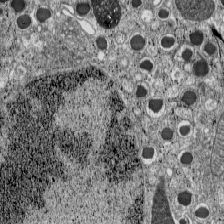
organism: C57BL Mouse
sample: Pancreatic islet